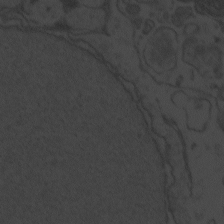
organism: Zebrafish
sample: Macrophage infected with Toxoplasma gondii